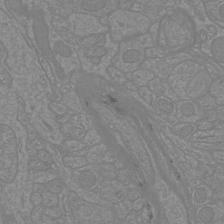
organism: Mouse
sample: Cortical neurons